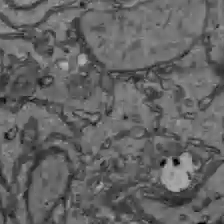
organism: C57BL Mouse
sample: Liver